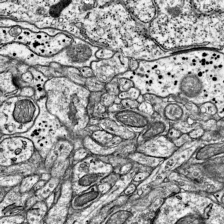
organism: Mouse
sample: Visual Cortex